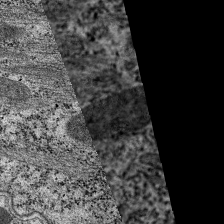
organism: C. elegans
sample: Pharynx